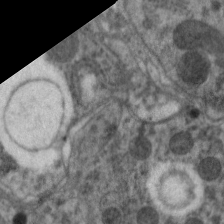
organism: C. elegans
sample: Pharynx